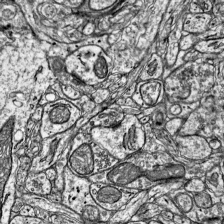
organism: Mouse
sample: Visual Cortex